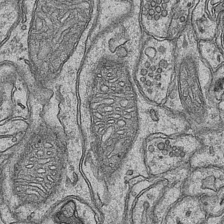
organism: Mouse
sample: CA1 Hippocampus